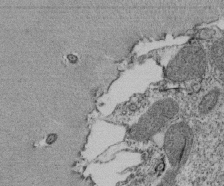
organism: Tetrahymena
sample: Cilia in tetrahymena